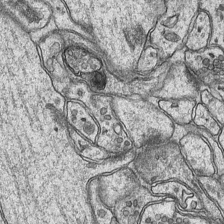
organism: Mouse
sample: CA1 Hippocampus